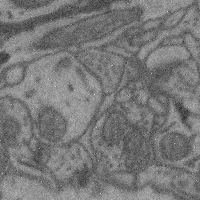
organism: Mouse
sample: Cerebral cortex